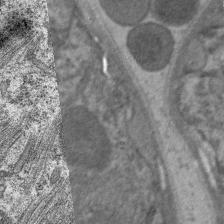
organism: C. elegans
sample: Pharynx